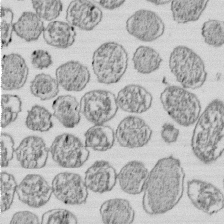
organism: E. coli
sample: Bacterial nucleoid